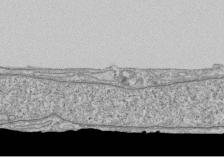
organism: Human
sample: Fibroblast cells